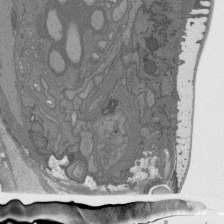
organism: C. elegans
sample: AFD neurons C. elegans